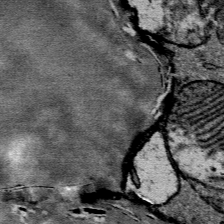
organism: Mouse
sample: Mouse Salivary gland